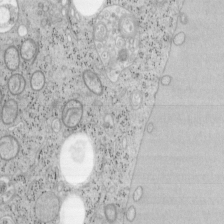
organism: Mouse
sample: OT-I killer T cells with ID8 ovarian cancer cells